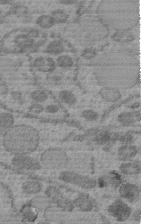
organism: C. elegans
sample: C. elegans embryo early stage